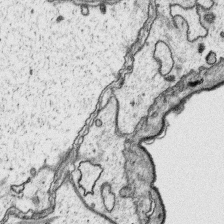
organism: Platynereis dumerilii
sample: Parapodia